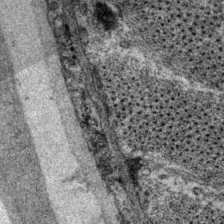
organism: P. pacificus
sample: Pharynx